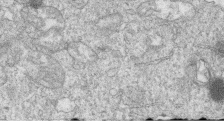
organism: Human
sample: HeLa cell HIV synapse